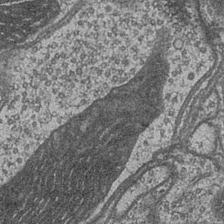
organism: Drosophila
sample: Optic medulla